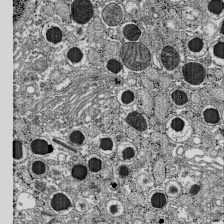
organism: C57BL Mouse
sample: Pancreatic islet